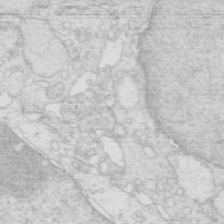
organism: Mouse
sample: Multiciliated cells